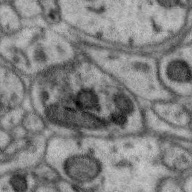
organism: Zebra finch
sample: Brain